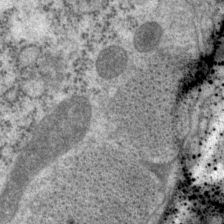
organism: P. pacificus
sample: Pharynx